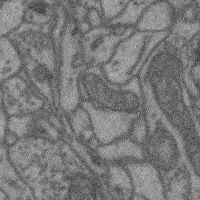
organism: Mouse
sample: Cerebral cortex